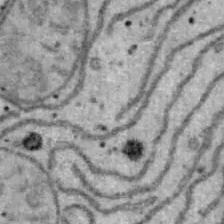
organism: Mouse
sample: Liver from an obese (ob/ob) mouse